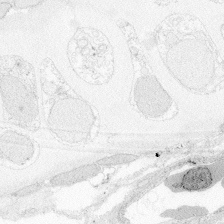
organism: Zebrafish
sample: Whole-Brain